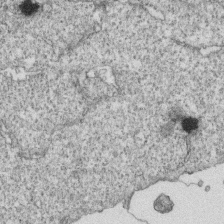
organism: Human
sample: HeLa cell HIV synapse